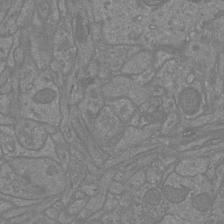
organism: Mouse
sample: Cortical neurons